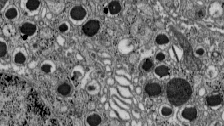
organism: C57BL Mouse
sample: Pancreatic islet